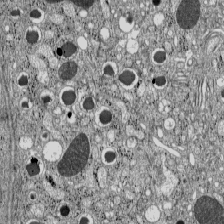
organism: C57BL Mouse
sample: Pancreatic islet